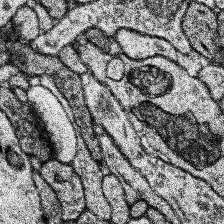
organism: Human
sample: Temporal Lobe